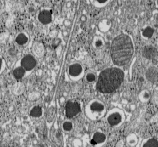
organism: C57BL Mouse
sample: Pancreatic islet